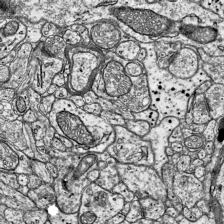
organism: Mouse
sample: Visual Cortex